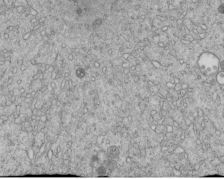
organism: C. elegans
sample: C. elegans embryo early stage